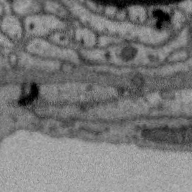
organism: Zebra finch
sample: Brain